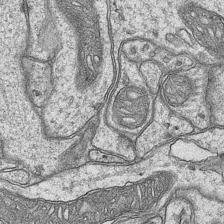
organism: Mouse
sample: CA1 Hippocampus